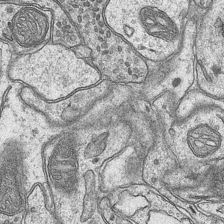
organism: Mouse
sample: CA1 Hippocampus